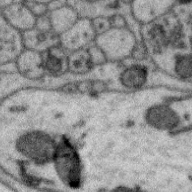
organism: Zebra finch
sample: Brain